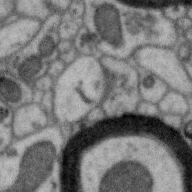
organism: Zebra finch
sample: Brain